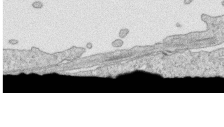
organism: Human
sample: HeLa cell HIV synapse